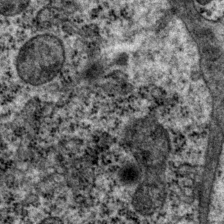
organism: P. pacificus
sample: Pharynx